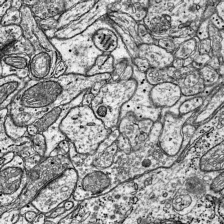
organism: Mouse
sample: Visual Cortex